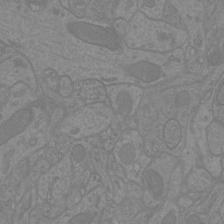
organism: Mouse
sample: Cortical neurons